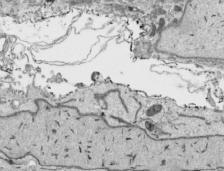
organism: Human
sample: Mitochondria in HCT116 cells